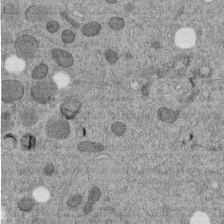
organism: C. elegans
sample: C. elegans embryo early stage